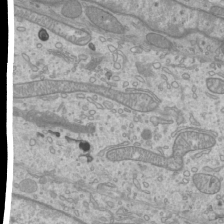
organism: Mouse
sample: Cilia; mouse epididymis